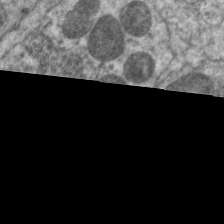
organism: C. elegans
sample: Pharynx